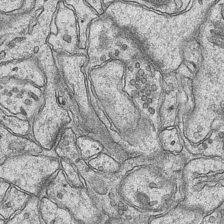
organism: Mouse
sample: CA1 Hippocampus